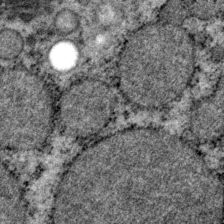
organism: P. pacificus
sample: Pharynx